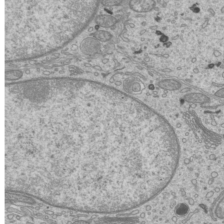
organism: Mouse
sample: Cilia; mouse epididymis